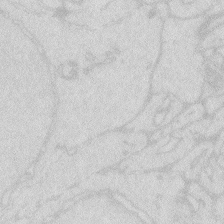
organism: Zebrafish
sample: Macrophage